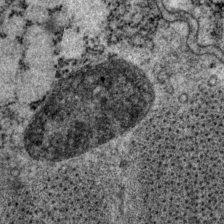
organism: P. pacificus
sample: Pharynx